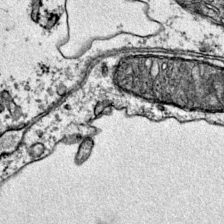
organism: Mouse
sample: Primary visual cortex